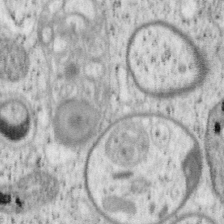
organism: Mouse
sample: OT-I killer T cells with ID8 ovarian cancer cells